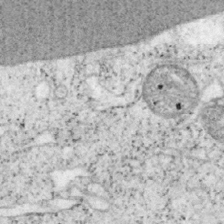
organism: Mouse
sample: OT-I killer T cells with ID8 ovarian cancer cells